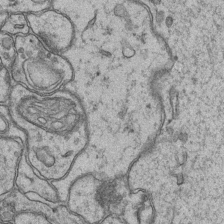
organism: Mouse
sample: CA1 Hippocampus